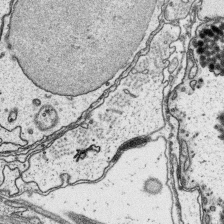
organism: Platynereis dumerilii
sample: Parapodia